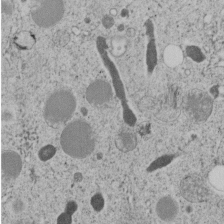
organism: C. elegans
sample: C. elegans embryo early stage